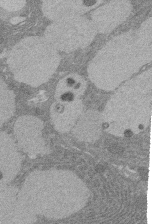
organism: Rat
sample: Salivary granule